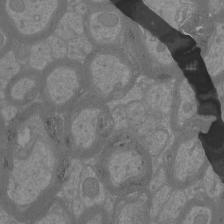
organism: Mouse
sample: Cortical neurons